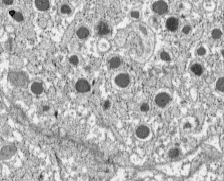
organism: C57BL Mouse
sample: Pancreatic islet